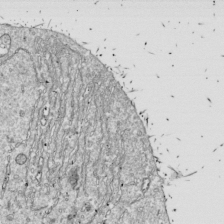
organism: Drosophila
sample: Cell division; meiosis; drosophila spermatocytes